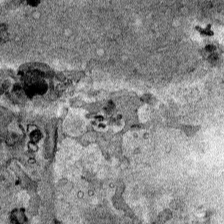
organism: Human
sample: Mitochondria in HCT116 cells